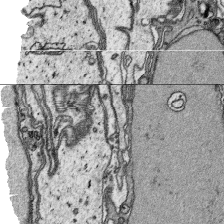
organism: Platynereis dumerilii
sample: Parapodia